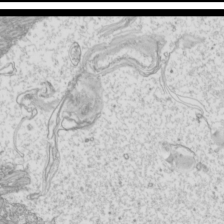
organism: Mouse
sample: Cilia; mouse epididymis